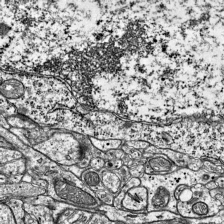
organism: Mouse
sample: Visual Cortex